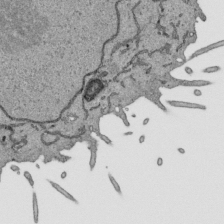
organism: Human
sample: Mitochondria in HCT116 cells